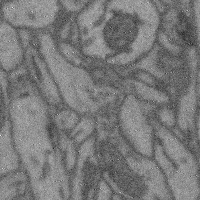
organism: Mouse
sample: Cerebral cortex